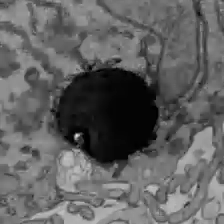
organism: C57BL Mouse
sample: Liver